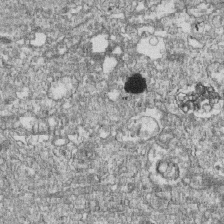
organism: Human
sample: HeLa cell HIV synapse